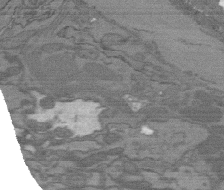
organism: C. elegans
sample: AFD neurons C. elegans